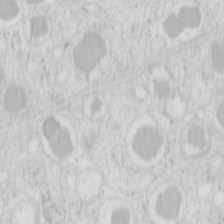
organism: Mouse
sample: Pancreas